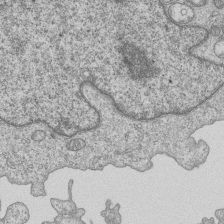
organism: Human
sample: MDA-MB-231 cells